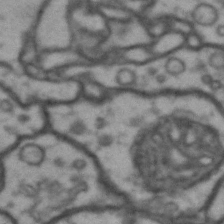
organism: Drosophila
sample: Brain